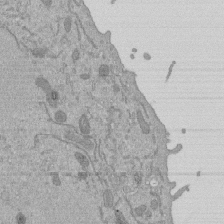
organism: Mouse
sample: ED-1 cell nuclei; centrioles